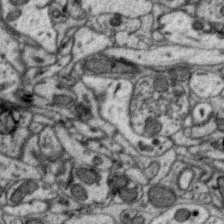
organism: Zebra finch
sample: Brain